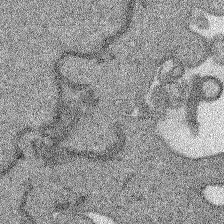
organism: Human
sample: HeLa cells